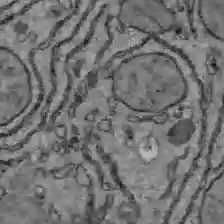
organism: C57BL Mouse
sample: Liver